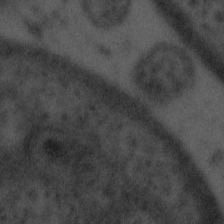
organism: Tuwongella immobilis